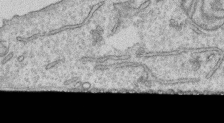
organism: Human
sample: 1205lu cells